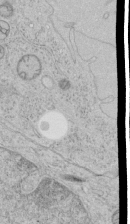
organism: Human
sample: Mitochondria in HCT116 cells